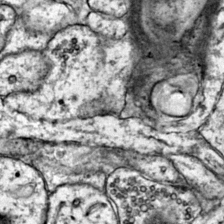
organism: Mouse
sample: Primary visual cortex